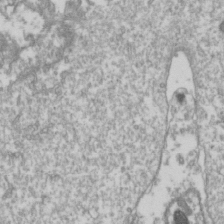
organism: Drosophila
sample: Cell division; meiosis; drosophila spermatocytes